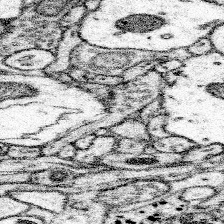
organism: Mouse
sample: Somatosensory cortex neuropil